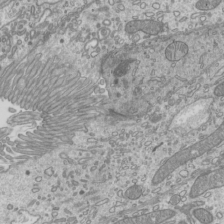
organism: Mouse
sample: Cilia; mouse epididymis